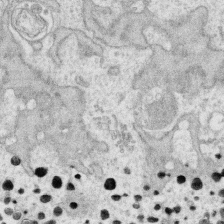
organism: Human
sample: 1205lu cells